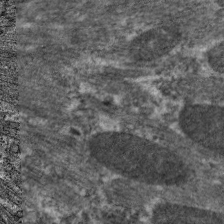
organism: C. elegans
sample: Pharynx